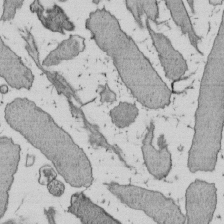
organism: E. coli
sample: Bacterial nucleoid